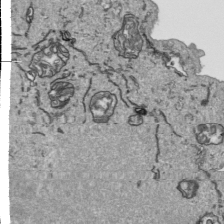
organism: Human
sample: Mitochondria in HCT116 cells